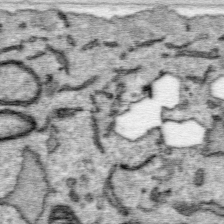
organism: Human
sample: HeLa cells